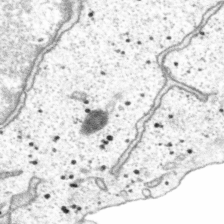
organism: Human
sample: HeLa cells